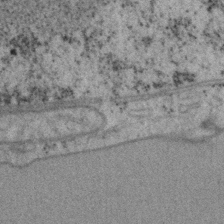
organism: Human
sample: HeLa cells